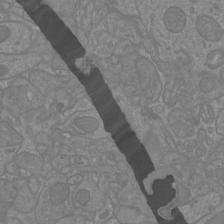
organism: Mouse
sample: Cortical neurons